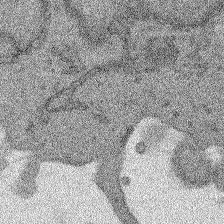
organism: Human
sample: HeLa cells